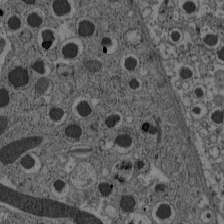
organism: C57BL Mouse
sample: Pancreatic islet